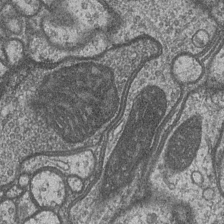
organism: Drosophila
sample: Optic medulla